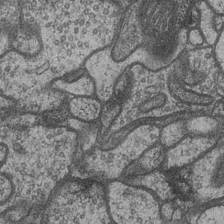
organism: Drosophila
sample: Optic medulla